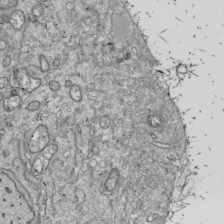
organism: Drosophila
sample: Cell division; meiosis; drosophila spermatocytes